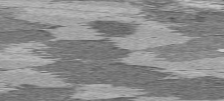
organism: C57BL Mouse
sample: Heart